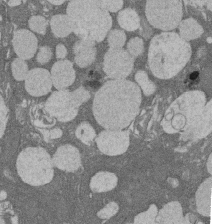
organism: Rat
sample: Salivary granule